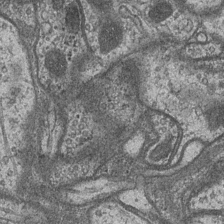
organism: Drosophila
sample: Optic medulla